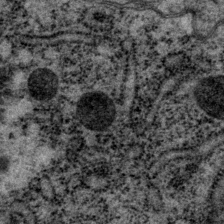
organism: P. pacificus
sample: Pharynx